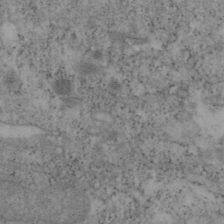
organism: Mouse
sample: OT-I killer T cells with ID8 ovarian cancer cells